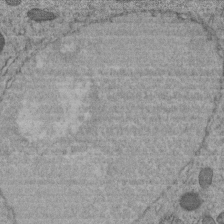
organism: C. elegans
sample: C. elegans embryo early stage